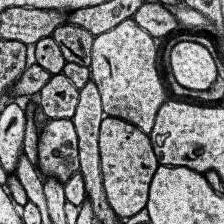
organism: Human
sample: Temporal Lobe